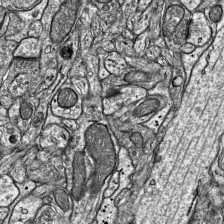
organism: Mouse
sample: Visual Cortex